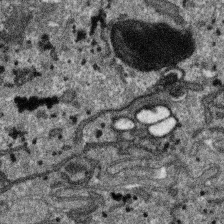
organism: Human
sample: Lung epithelial cells infected with SARS-CoV-2